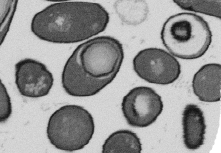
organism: B. subtilis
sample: Bacterial spore